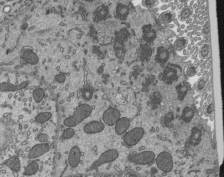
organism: Mouse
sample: Mouse epididymis efferent ductule cilia